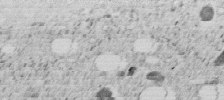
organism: C. elegans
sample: C. elegans embryo early stage